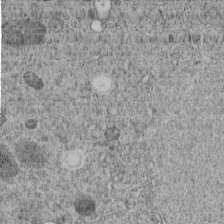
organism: C. elegans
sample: C. elegans embryo early stage